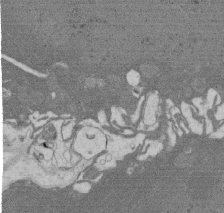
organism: Rat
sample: Salivary granule